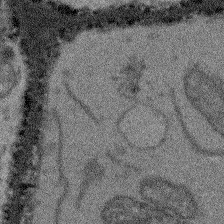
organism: Arabidopsis thaliana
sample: Root tip